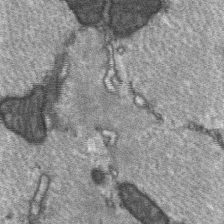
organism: C57BL Mouse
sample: Soleus